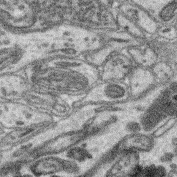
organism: Mouse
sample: Retina